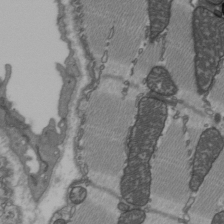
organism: C57BL Mouse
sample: Heart